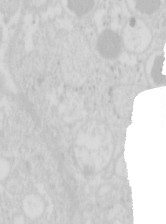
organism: Mouse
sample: Pancreas